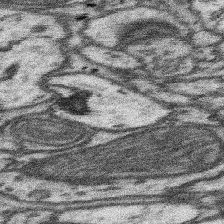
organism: Mouse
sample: Somatosensory cortex neuropil